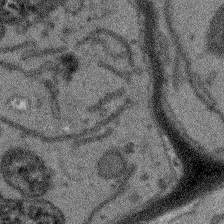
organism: Arabidopsis thaliana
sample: Root tip